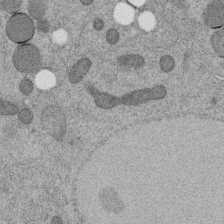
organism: C. elegans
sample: C. elegans embryo early stage